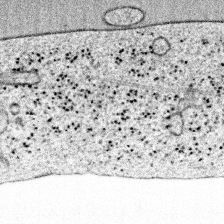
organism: Human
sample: HeLa cells